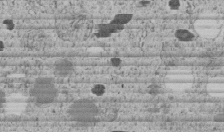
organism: C. elegans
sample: C. elegans embryo early stage